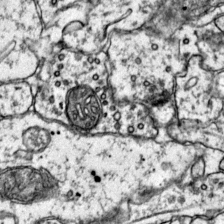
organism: Mouse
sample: Primary visual cortex